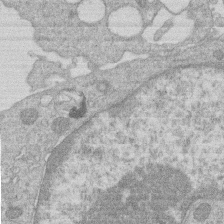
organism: Human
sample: Macrophage cells